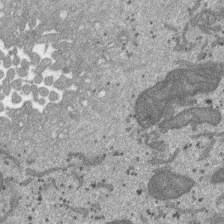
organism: Human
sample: Lung epithelial cells infected with SARS-CoV-2